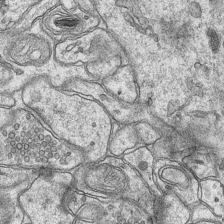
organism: Mouse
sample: CA1 Hippocampus